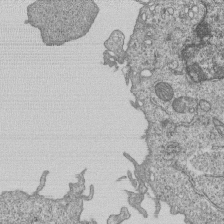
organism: Human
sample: MDA-MB-231 cells